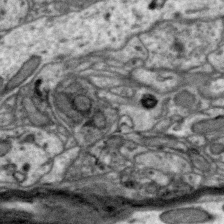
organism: Zebra finch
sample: Brain